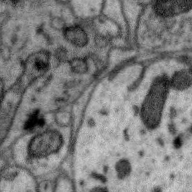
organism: Zebra finch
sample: Brain